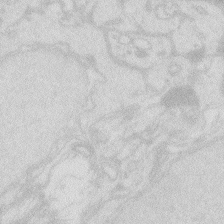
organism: Zebrafish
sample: Macrophage